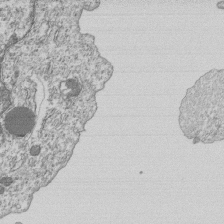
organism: Human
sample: MDA-MB-231 cells